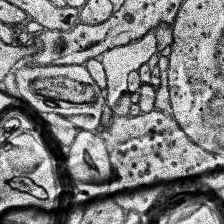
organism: Human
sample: Temporal Lobe